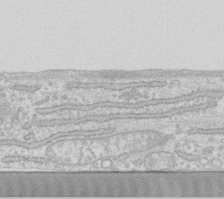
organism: Human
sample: Fibroblast cells